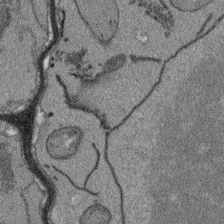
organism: Arabidopsis thaliana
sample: Root tip